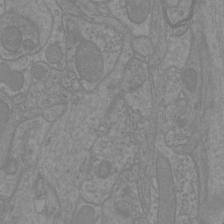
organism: Mouse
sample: Cortical neurons